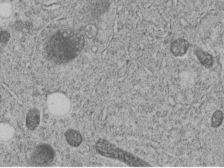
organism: C. elegans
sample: C. elegans embryo early stage